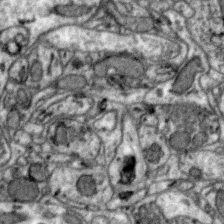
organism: Zebra finch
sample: Brain